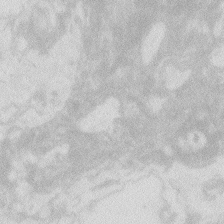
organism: Zebrafish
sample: Macrophage